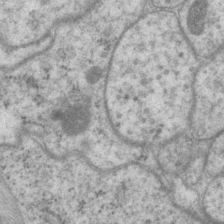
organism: P. pacificus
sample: Pharynx